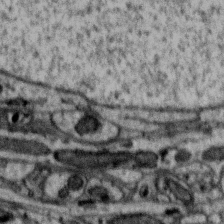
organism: Zebra finch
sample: Brain